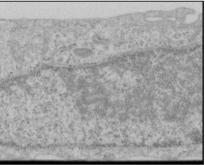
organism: Human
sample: Cilia; basal body in RPE cells